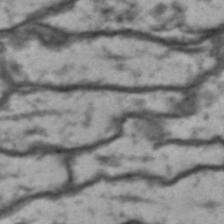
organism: Drosophila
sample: Brain